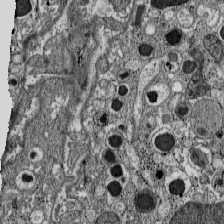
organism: C57BL Mouse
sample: Pancreatic islet